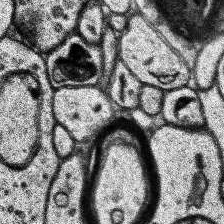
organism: Human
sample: Temporal Lobe